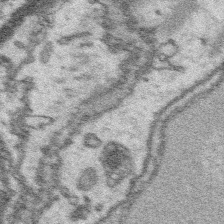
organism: Platynereis dumerilii